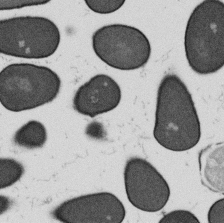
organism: B. subtilis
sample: Bacterial spore